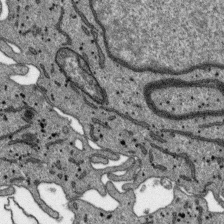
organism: Human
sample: Lung epithelial cells, uninfected (mock) control